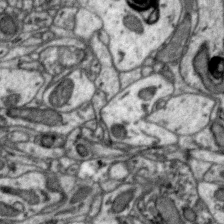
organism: Zebra finch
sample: Brain